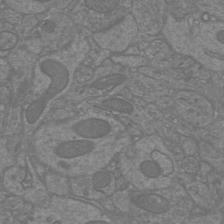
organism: Mouse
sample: Cortical neurons